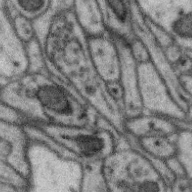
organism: Zebra finch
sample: Brain